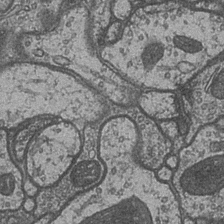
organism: Drosophila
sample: Optic medulla